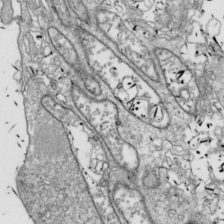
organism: Drosophila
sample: Cell division; meiosis; drosophila spermatocytes